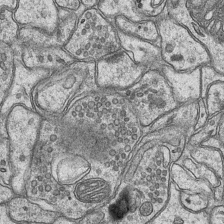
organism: Mouse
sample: CA1 Hippocampus